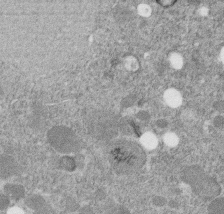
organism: C. elegans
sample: C. elegans embryo early stage